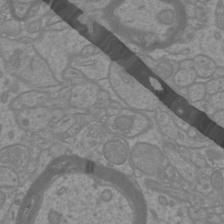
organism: Mouse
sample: Cortical neurons